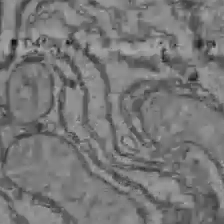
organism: C57BL Mouse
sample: Liver